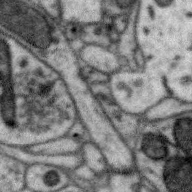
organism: Zebra finch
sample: Brain